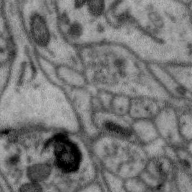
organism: Zebra finch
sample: Brain